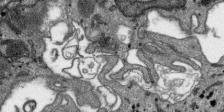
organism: Human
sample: Lung epithelial cells, uninfected (mock) control